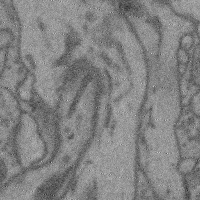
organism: Mouse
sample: Cerebral cortex